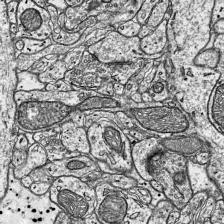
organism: Mouse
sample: Visual Cortex